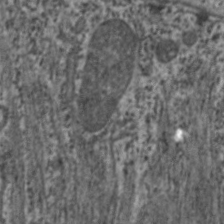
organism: C. elegans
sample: Pharynx